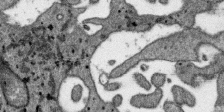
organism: Human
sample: Lung epithelial cells, uninfected (mock) control